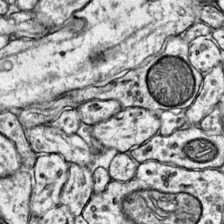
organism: Mouse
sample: Primary visual cortex